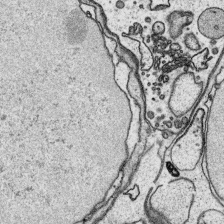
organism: Platynereis dumerilii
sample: Parapodia